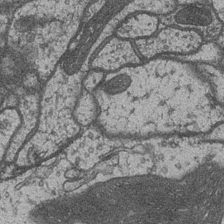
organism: Drosophila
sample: Optic medulla